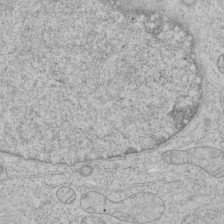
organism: Human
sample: Mitochondria in HCT116 cells